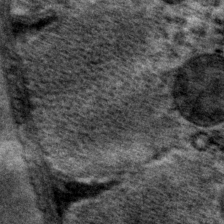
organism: P. pacificus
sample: Pharynx